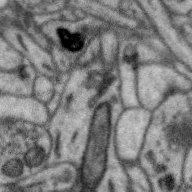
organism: Zebra finch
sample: Brain